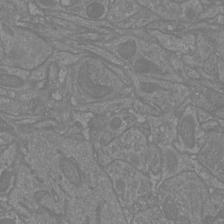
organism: Mouse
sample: Cortical neurons